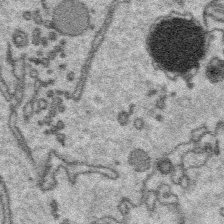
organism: Platynereis dumerilii